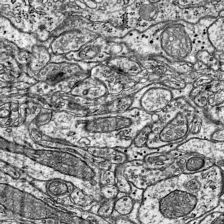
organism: Mouse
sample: Visual Cortex